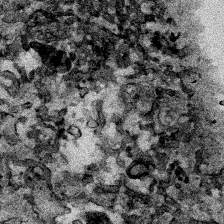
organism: Human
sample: Mitochondria in HCT116 cells